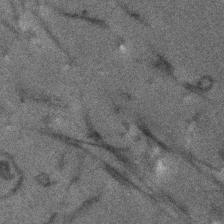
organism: Human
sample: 1205lu cells